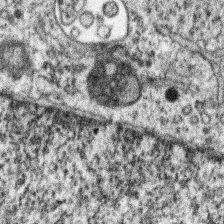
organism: Human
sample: HeLa cells